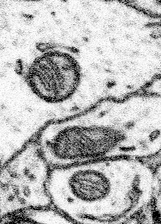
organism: Mouse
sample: Somatosensory cortex neuropil